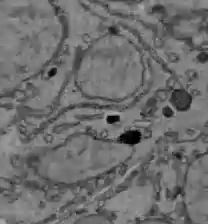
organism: C57BL Mouse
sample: Liver